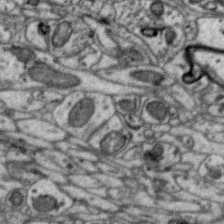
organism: Zebra finch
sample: Brain